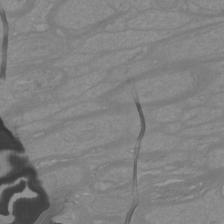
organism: Mouse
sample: Cortical neurons